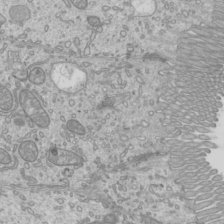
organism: Mouse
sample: Cilia; mouse epididymis